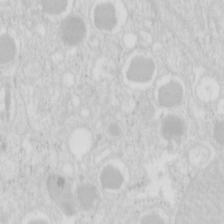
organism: Mouse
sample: Pancreas